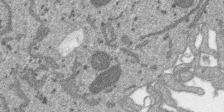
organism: Human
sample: Lung epithelial cells infected with SARS-CoV-2